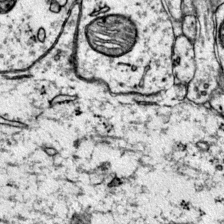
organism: Mouse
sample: Primary visual cortex